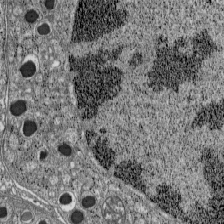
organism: C57BL Mouse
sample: Pancreatic islet